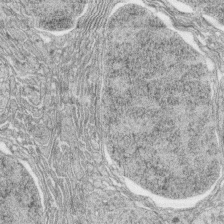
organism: Zebrafish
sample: synaptic ribbons in rod cells and cone cells